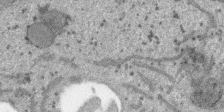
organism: Human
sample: Lung epithelial cells infected with SARS-CoV-2